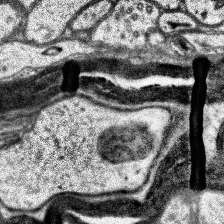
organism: Human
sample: Temporal Lobe